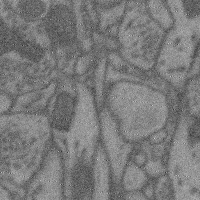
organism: Mouse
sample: Cerebral cortex